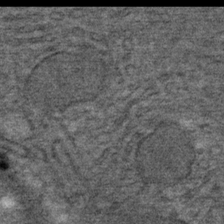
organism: Mouse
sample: Mouse Salivary gland